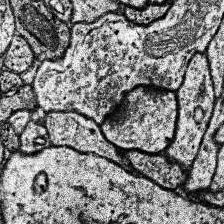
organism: Human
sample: Temporal Lobe